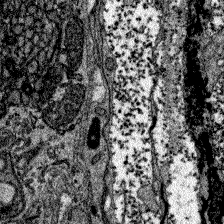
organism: Zebrafish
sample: Larval olfactory bulb